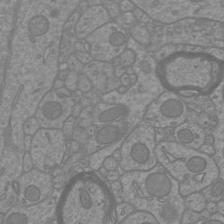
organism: Mouse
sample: Cortical neurons